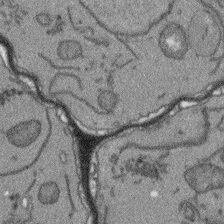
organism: Arabidopsis thaliana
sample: Root tip